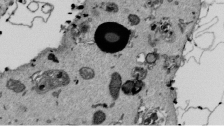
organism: Mouse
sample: ED-1 cell nuclei; centrioles